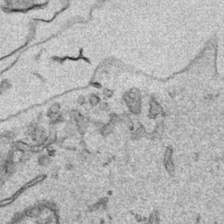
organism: Human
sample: Mitochondria in HCT116 cells